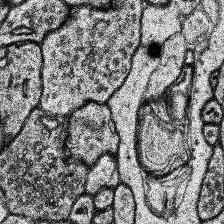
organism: Human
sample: Temporal Lobe